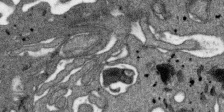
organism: Human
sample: Lung epithelial cells, uninfected (mock) control